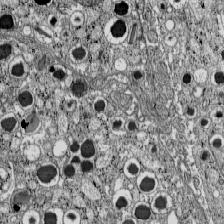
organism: C57BL Mouse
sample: Pancreatic islet